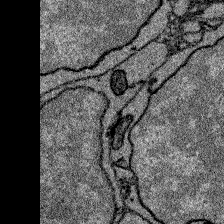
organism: Zebrafish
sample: Larval olfactory bulb